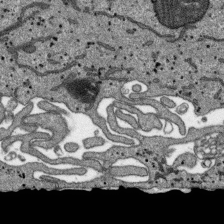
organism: Human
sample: Lung epithelial cells, uninfected (mock) control